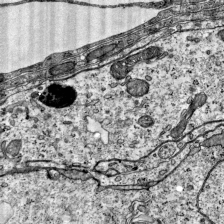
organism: Mouse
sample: Visual Cortex